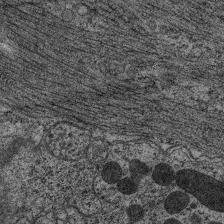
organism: C. elegans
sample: Pharynx